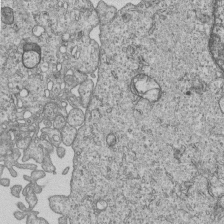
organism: Human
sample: MDA-MB-231 cells